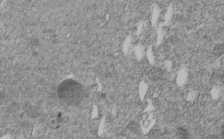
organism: C. elegans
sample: C. elegans embryo early stage